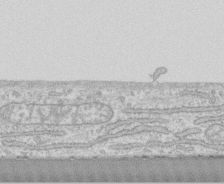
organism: Human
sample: CRL-1474